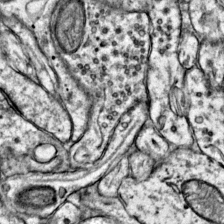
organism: Mouse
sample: Primary visual cortex